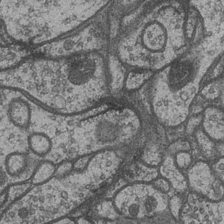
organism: Drosophila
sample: Optic medulla